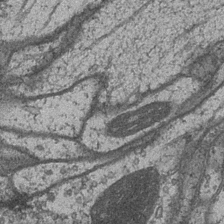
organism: Drosophila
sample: Optic medulla